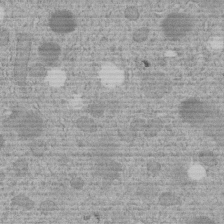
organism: C. elegans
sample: C. elegans embryo early stage